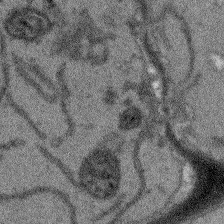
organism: Arabidopsis thaliana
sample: Root tip